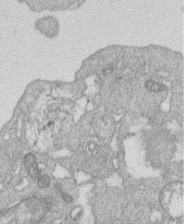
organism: Human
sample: Macrophage cells